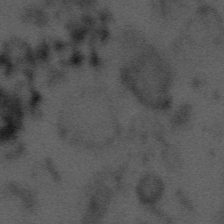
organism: Tuwongella immobilis